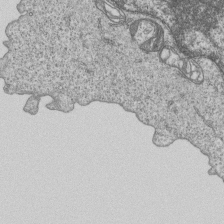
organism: Human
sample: MDA-MB-231 cells